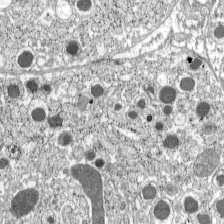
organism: C57BL Mouse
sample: Pancreatic islet